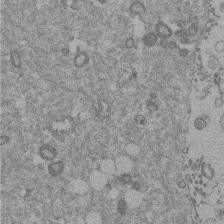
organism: Mouse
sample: Dividing mouse embryo 1 cell stage